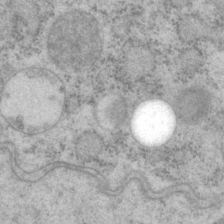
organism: P. pacificus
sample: Pharynx